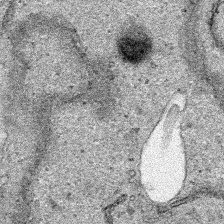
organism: Human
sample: Mitochondria in HCT116 cells